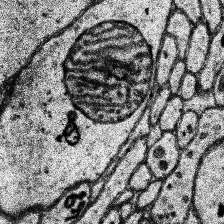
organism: Human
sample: Temporal Lobe